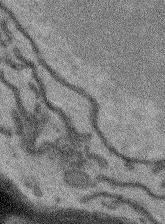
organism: Arabidopsis thaliana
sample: Root tip